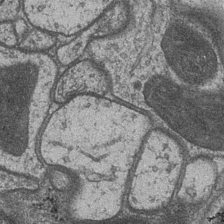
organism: Drosophila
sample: Optic medulla